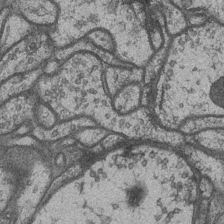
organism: Drosophila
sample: Optic medulla